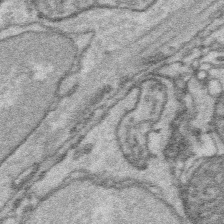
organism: Platynereis dumerilii